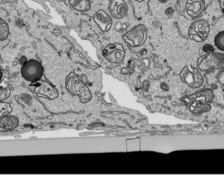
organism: Human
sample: Mitochondria in HCT116 cells